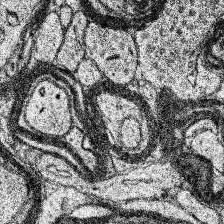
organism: Human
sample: Temporal Lobe